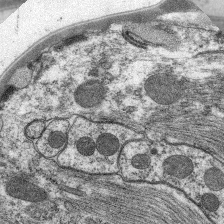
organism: C. elegans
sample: Pharynx